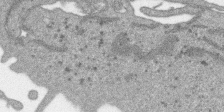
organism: Human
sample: Lung epithelial cells infected with SARS-CoV-2